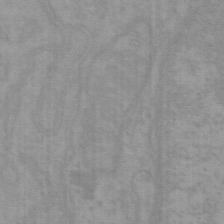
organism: Mouse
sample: Choroid plexus